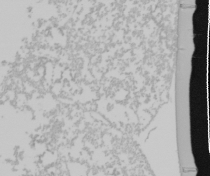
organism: Mouse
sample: Cancer cell death in ED-1 cells